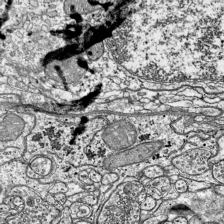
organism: Mouse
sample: Visual Cortex